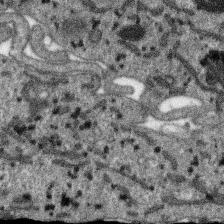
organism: Human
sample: Lung epithelial cells infected with SARS-CoV-2